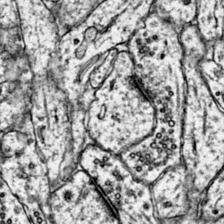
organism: Mouse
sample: Primary visual cortex